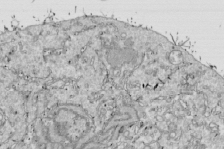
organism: Drosophila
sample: Cell division; meiosis; drosophila spermatocytes